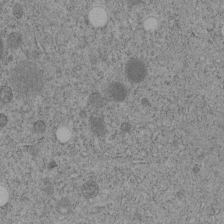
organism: C. elegans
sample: C. elegans embryo early stage